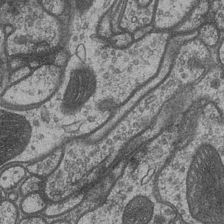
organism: Drosophila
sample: Optic medulla